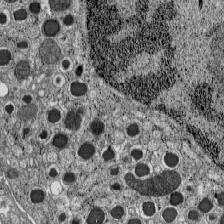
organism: C57BL Mouse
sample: Pancreatic islet